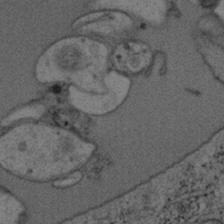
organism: Human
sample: HeLa cells